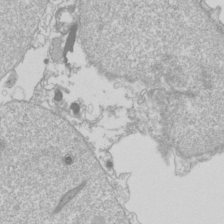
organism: Drosophila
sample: Cell division; meiosis; drosophila spermatocytes